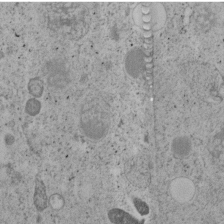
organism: C. elegans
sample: C. elegans embryo early stage